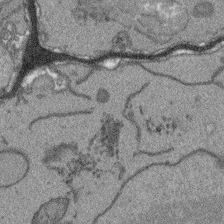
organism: Arabidopsis thaliana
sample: Root tip